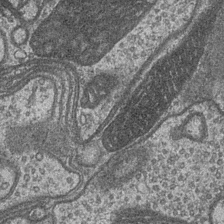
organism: Drosophila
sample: Optic medulla